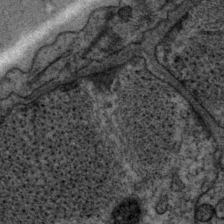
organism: P. pacificus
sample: Pharynx